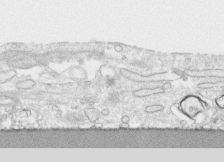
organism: Human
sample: CRL-1474